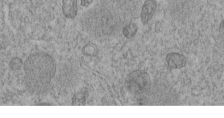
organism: C. elegans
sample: C. elegans embryo early stage